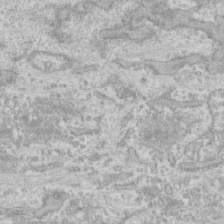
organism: Human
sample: CRL-1474